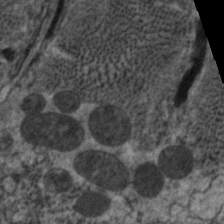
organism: C. elegans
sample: Pharynx